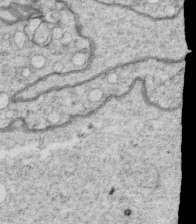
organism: C. elegans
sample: C. elegans oocyte; sperm cells